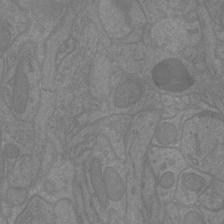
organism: Mouse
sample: Cortical neurons